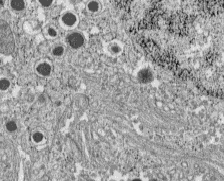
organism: C57BL Mouse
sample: Pancreatic islet